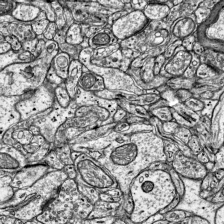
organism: Mouse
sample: Visual Cortex